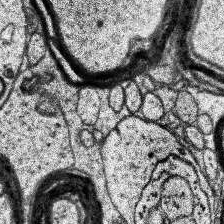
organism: Human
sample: Temporal Lobe